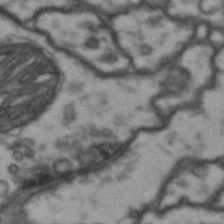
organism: Drosophila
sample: Brain